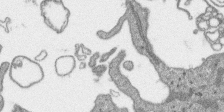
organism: Human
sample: Lung epithelial cells infected with SARS-CoV-2